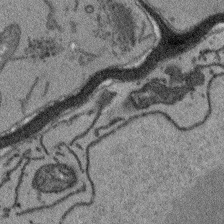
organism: Arabidopsis thaliana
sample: Root tip